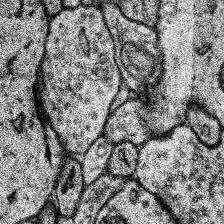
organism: Human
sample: Temporal Lobe